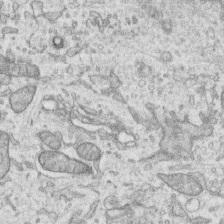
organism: Human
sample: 1205lu cells